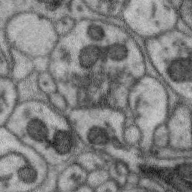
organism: Zebra finch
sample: Brain